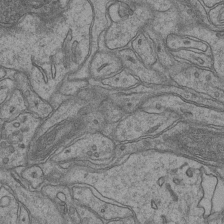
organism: Mouse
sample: CA1 Hippocampus